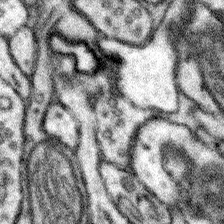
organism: Mouse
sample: Somatosensory cortex neuropil